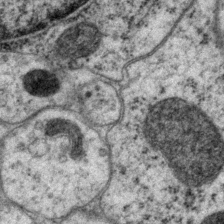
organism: P. pacificus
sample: Pharynx